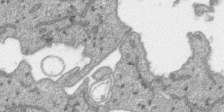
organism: Human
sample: Lung epithelial cells infected with SARS-CoV-2